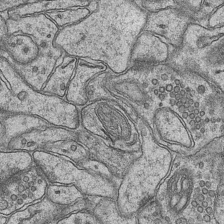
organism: Mouse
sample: CA1 Hippocampus